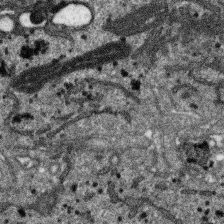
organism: Human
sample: Lung epithelial cells infected with SARS-CoV-2